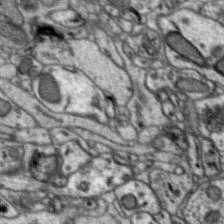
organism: Zebra finch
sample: Brain